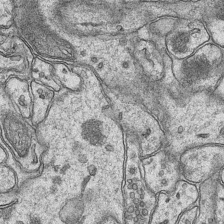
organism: Mouse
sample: CA1 Hippocampus